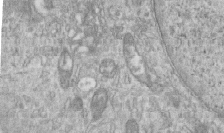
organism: Human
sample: Centriole in RPE cells